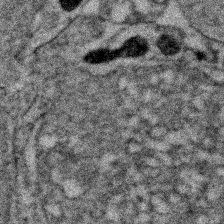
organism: Zebrafish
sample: Zebrafish embryo